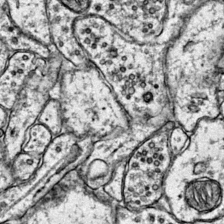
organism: Mouse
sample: Primary visual cortex